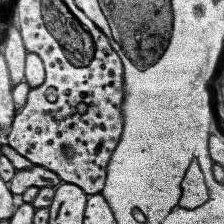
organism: Human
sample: Temporal Lobe